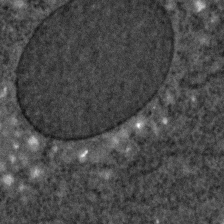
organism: C. elegans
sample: C. elegans embryo